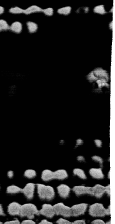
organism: Human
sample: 1205lu cells